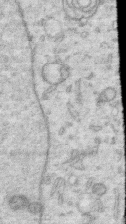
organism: Human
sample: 1205lu cells